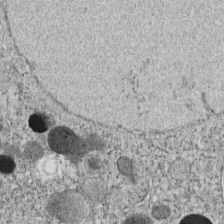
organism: C. elegans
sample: C. elegans embryo early stage